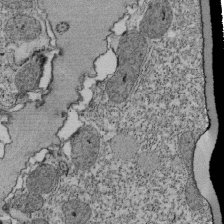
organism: Tetrahymena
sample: Cilia in tetrahymena